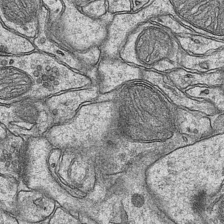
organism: Mouse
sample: CA1 Hippocampus